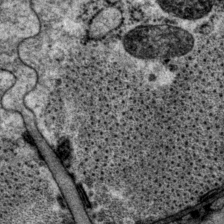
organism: P. pacificus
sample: Pharynx